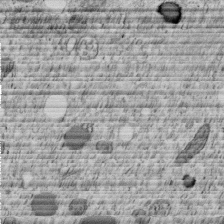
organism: C. elegans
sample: C. elegans embryo early stage